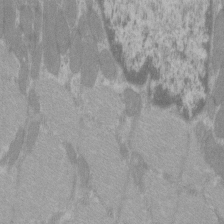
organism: C57BL Mouse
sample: Tibialis anterior muscle cell